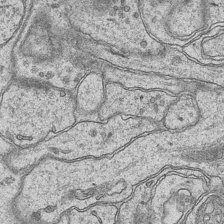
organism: Mouse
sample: CA1 Hippocampus